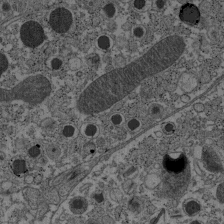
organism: C57BL Mouse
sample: Pancreatic islet